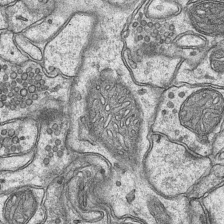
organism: Mouse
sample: CA1 Hippocampus